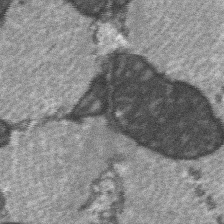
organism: C57BL Mouse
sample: Soleus